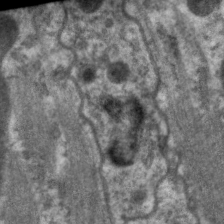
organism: C. elegans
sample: Pharynx